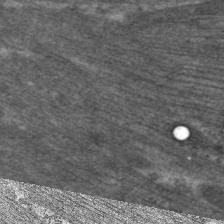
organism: C. elegans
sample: Pharynx